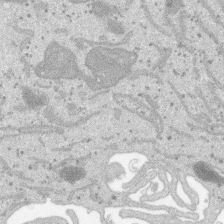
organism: Human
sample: Lung epithelial cells infected with SARS-CoV-2